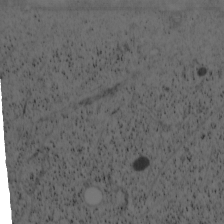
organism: African green monkey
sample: COS-7 cells